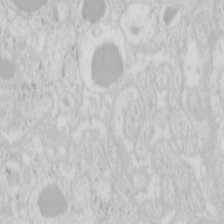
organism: Mouse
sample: Pancreas